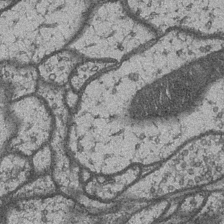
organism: Drosophila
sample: Optic medulla